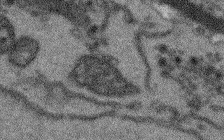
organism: Arabidopsis thaliana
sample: Root tip